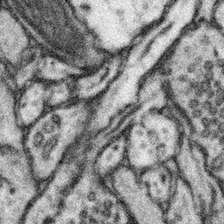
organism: Mouse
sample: Somatosensory cortex neuropil